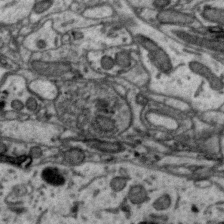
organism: Zebra finch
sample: Brain